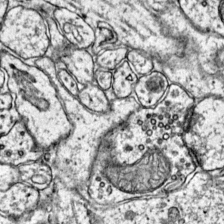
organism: Mouse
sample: Primary visual cortex